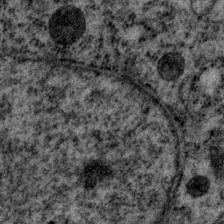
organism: P. pacificus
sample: Pharynx